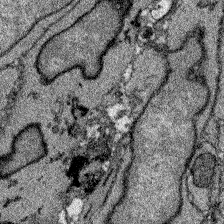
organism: Zebrafish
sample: Larval olfactory bulb